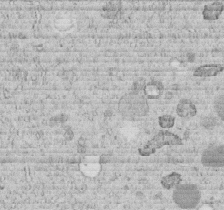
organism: C. elegans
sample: C. elegans embryo early stage